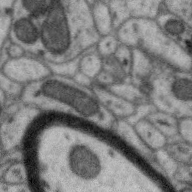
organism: Zebra finch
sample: Brain